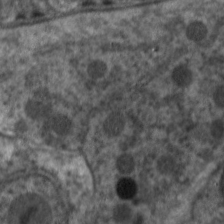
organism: C. elegans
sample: Pharynx